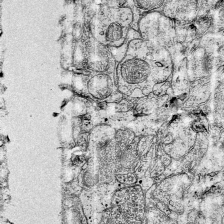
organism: Mouse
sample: Visual Cortex